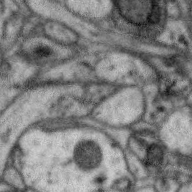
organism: Zebra finch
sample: Brain